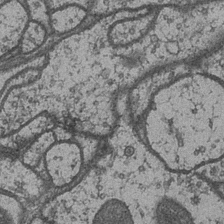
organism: Drosophila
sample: Optic medulla